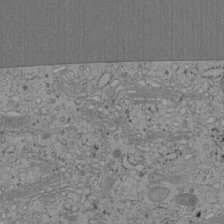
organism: African green monkey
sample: COS-7 cells